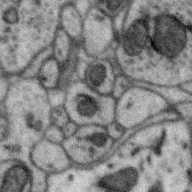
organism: Zebra finch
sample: Brain